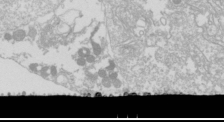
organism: Drosophila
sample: Cell division; meiosis; drosophila spermatocytes